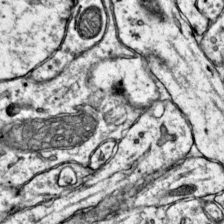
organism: Mouse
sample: Primary visual cortex